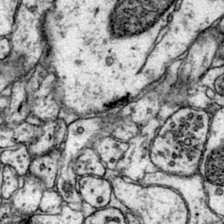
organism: Mouse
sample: Primary visual cortex